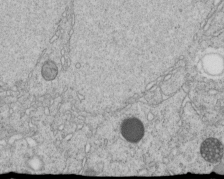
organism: C. elegans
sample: C. elegans embryo early stage